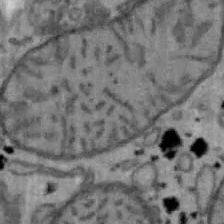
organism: Mouse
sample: Liver